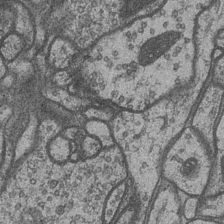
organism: Drosophila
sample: Optic medulla